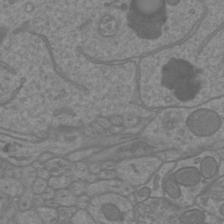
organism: Mouse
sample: Cortical neurons